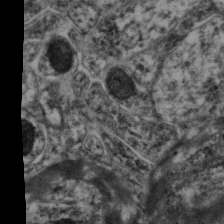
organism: Mouse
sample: Neocortex